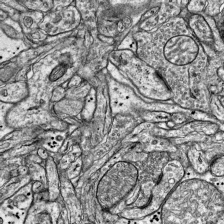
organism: Mouse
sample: Visual Cortex